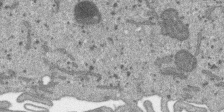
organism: Human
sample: Lung epithelial cells infected with SARS-CoV-2